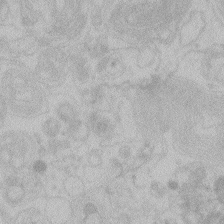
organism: Zebrafish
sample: Macrophage infected with Toxoplasma gondii